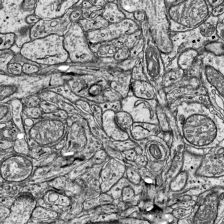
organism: Mouse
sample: Visual Cortex